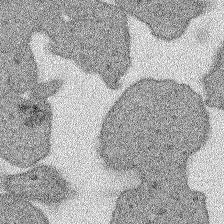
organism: Human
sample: HeLa cells